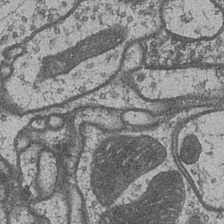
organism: Drosophila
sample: Optic medulla